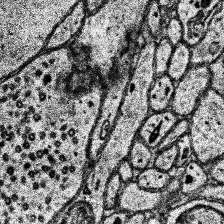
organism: Human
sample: Temporal Lobe